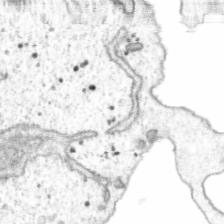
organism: Human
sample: HeLa cells